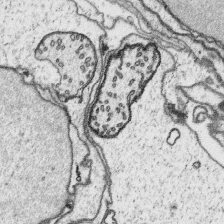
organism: Platynereis dumerilii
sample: Parapodia